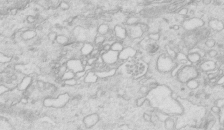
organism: Mouse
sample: Multiciliated cells